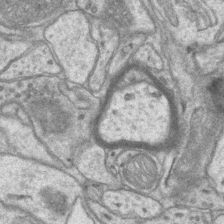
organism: Mouse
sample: CA1 Hippocampus